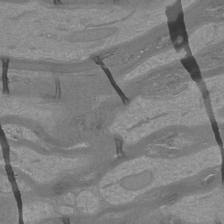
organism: Mouse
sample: Cortical neurons